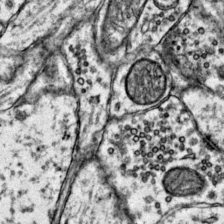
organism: Mouse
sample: Primary visual cortex